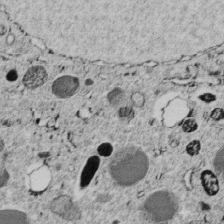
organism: C. elegans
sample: C. elegans embryo early stage